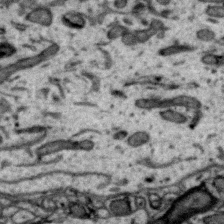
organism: Zebra finch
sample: Brain